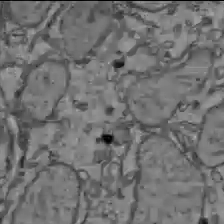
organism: C57BL Mouse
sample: Liver